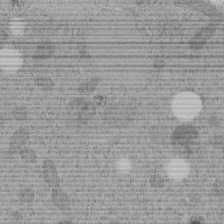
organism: C. elegans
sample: C. elegans embryo early stage